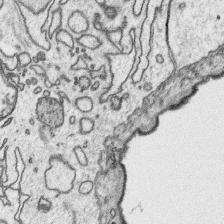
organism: Platynereis dumerilii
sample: Parapodia